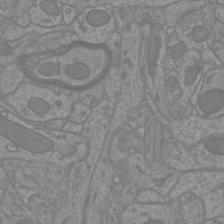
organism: Mouse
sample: Cortical neurons